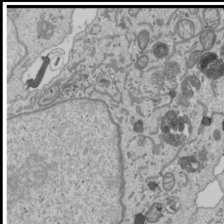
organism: Human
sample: Mitochondria in U2OS cells